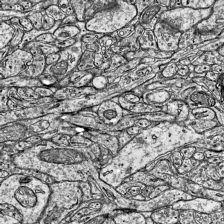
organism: Mouse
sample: Visual Cortex